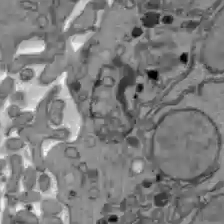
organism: C57BL Mouse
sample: Liver